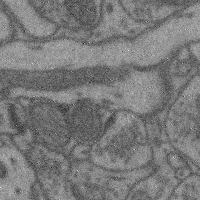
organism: Mouse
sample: Cerebral cortex